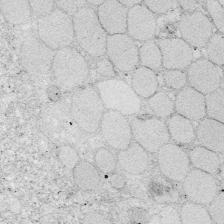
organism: Zebrafish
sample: Whole-Brain